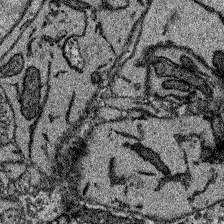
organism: Zebrafish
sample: Larval olfactory bulb